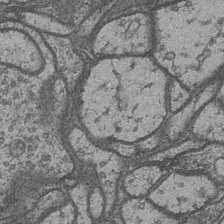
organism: Drosophila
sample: Optic medulla